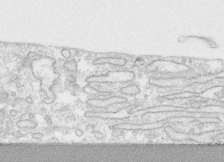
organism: Human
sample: CRL-1474